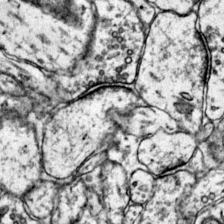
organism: Mouse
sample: Primary visual cortex